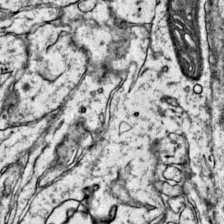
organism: Mouse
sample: Primary visual cortex